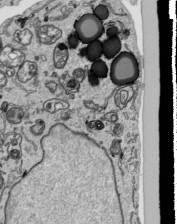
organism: Human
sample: Mitochondria in HCT116 cells